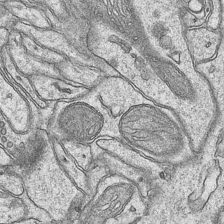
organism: Mouse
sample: CA1 Hippocampus